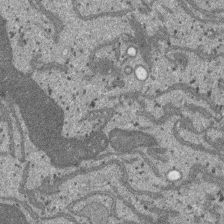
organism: Human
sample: Lung epithelial cells infected with SARS-CoV-2